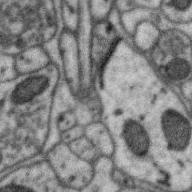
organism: Zebra finch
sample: Brain